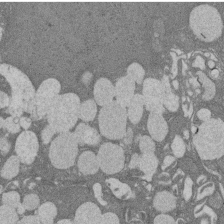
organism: Rat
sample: Salivary granule